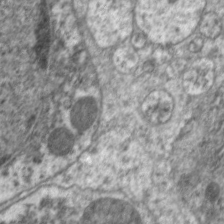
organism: C. elegans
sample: Pharynx